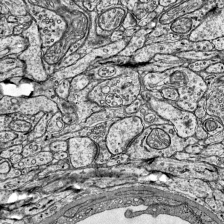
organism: Mouse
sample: Visual Cortex